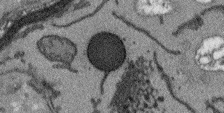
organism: Arabidopsis thaliana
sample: Root tip